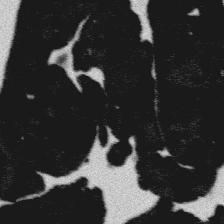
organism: Platynereis dumerilii